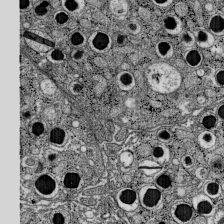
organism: C57BL Mouse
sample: Pancreatic islet